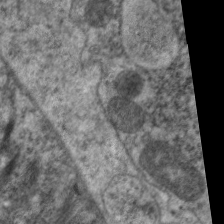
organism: C. elegans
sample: Pharynx